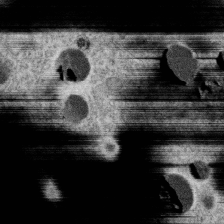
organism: C. elegans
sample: C. elegans oocyte; sperm cells